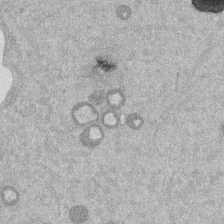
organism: Mouse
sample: Dividing mouse embryo 1 cell stage